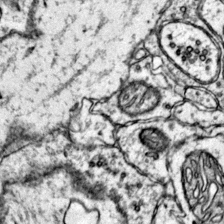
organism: Mouse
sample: Primary visual cortex